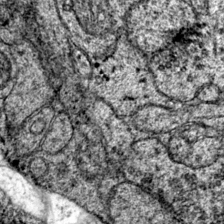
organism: Mouse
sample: Primary visual cortex